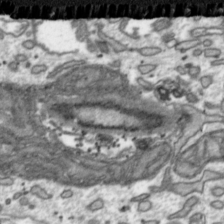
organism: Toxoplasma gondii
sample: Parasites in a vacuole inside a host cell